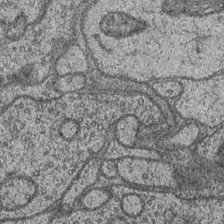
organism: Drosophila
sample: Optic medulla